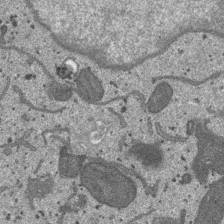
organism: Human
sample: Lung epithelial cells infected with SARS-CoV-2